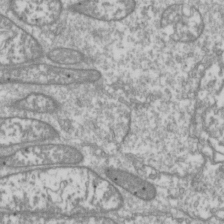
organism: Drosophila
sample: Cell division; meiosis; drosophila spermatocytes